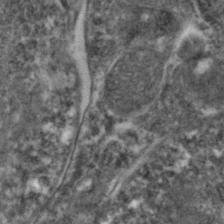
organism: Zebrafish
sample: Zebrafish embryo